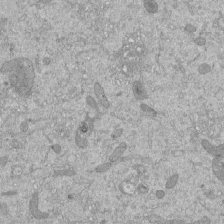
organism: Mouse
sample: ED-1 cell nuclei; centrioles